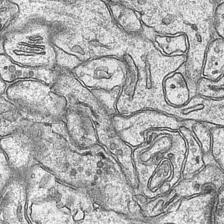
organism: Mouse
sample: CA1 Hippocampus